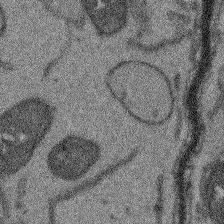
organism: Arabidopsis thaliana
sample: Root tip